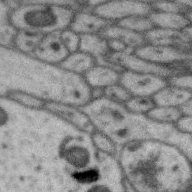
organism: Zebra finch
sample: Brain